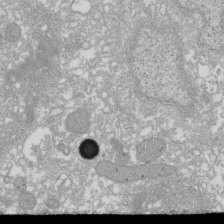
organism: Xenopus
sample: Cilia; centrioles in frog embryo cells